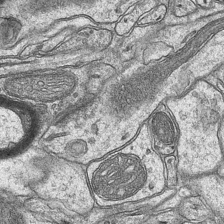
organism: Mouse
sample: CA1 Hippocampus